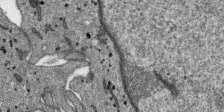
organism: Human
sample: Lung epithelial cells, uninfected (mock) control